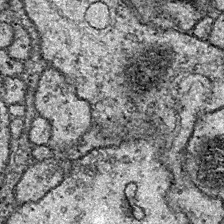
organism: Drosophila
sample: Ventral Nerve Cord